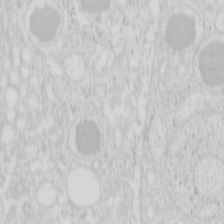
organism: Mouse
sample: Pancreas